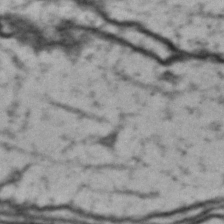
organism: Drosophila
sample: Brain